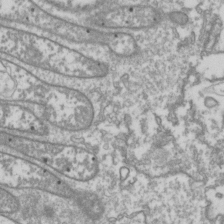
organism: Drosophila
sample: Cell division; meiosis; drosophila spermatocytes